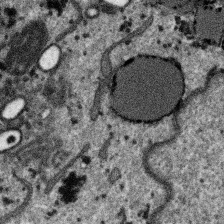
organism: Human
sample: Lung epithelial cells infected with SARS-CoV-2